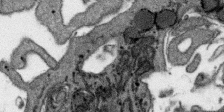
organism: Human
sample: Lung epithelial cells, uninfected (mock) control